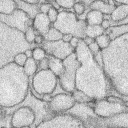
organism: Rabbit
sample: Retina